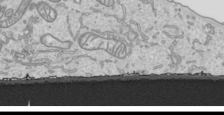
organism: Human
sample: Mitochondria in HCT116 cells